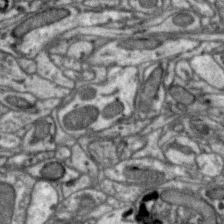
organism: Zebra finch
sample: Brain